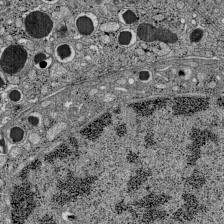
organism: C57BL Mouse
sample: Pancreatic islet